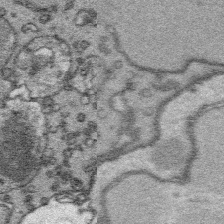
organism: Platynereis dumerilii